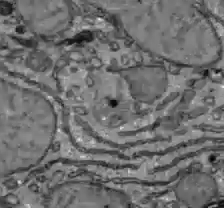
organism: C57BL Mouse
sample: Liver